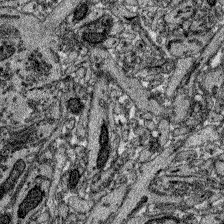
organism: Zebrafish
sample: Larval olfactory bulb